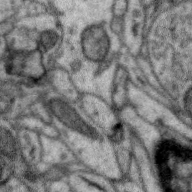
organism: Zebra finch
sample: Brain